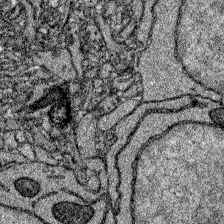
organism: Zebrafish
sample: Larval olfactory bulb